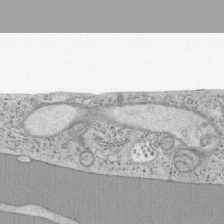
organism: Human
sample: HeLa cells